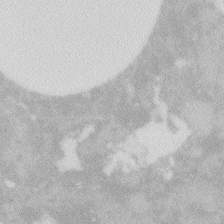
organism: Zebrafish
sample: Macrophage